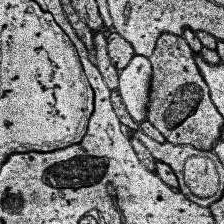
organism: Human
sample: Temporal Lobe